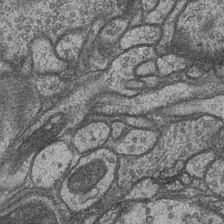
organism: Drosophila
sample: Optic medulla